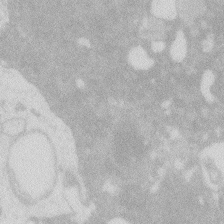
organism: Zebrafish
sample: Macrophage